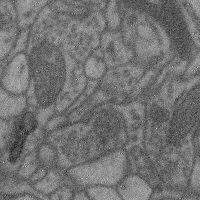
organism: Mouse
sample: Cerebral cortex